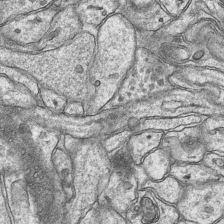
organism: Mouse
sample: CA1 Hippocampus